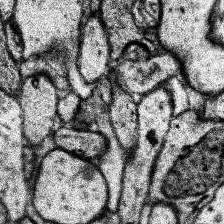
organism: Human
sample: Temporal Lobe